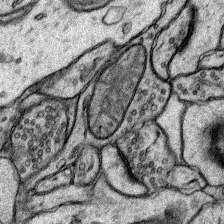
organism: Rat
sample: Hippocampus